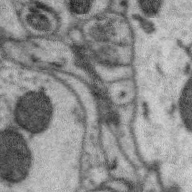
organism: Zebra finch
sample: Brain